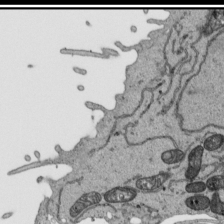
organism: Human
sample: Mitochondria in HCT116 cells